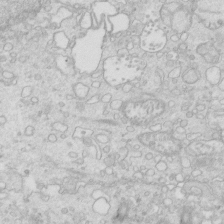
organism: Mouse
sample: Multiciliated cells